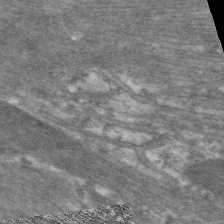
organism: C. elegans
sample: Pharynx